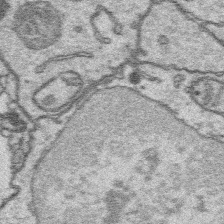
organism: Platynereis dumerilii